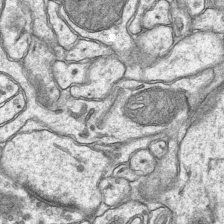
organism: Mouse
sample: CA1 Hippocampus